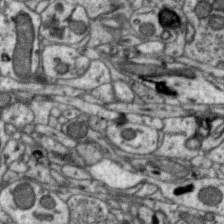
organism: Zebra finch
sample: Brain